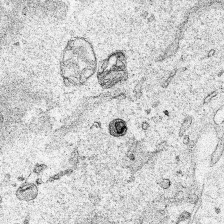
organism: Human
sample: Mitochondria in HCT116 cells